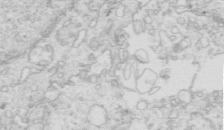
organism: Mouse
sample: Multiciliated cells